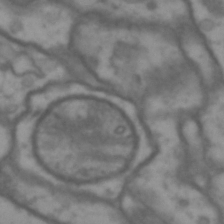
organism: Drosophila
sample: Brain